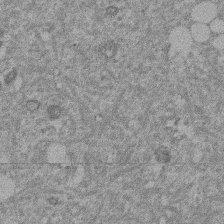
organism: Mouse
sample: Dividing mouse embryo 1 cell stage